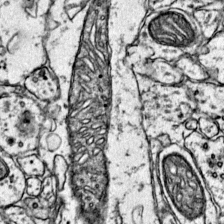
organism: Mouse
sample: Primary visual cortex